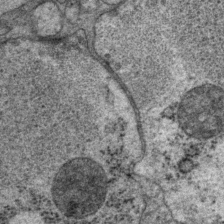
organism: P. pacificus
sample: Pharynx